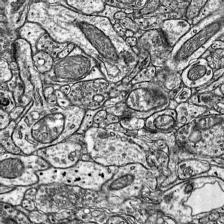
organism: Mouse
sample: Visual Cortex